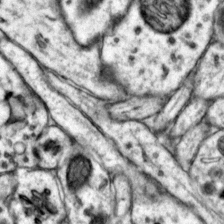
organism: Mouse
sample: Primary visual cortex